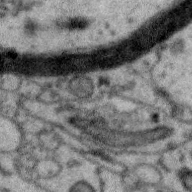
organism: Zebra finch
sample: Brain